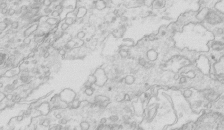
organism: Mouse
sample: Multiciliated cells